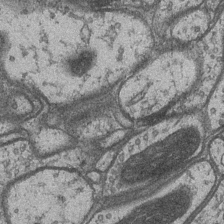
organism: Drosophila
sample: Optic medulla